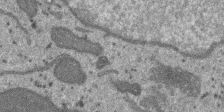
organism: Human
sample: Lung epithelial cells infected with SARS-CoV-2